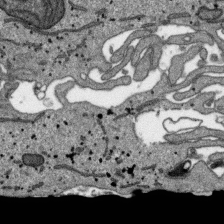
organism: Human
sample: Lung epithelial cells, uninfected (mock) control